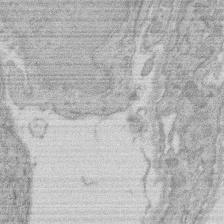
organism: Rat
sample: Salivary granule